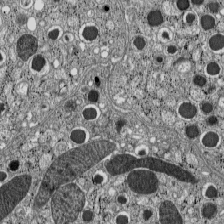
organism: C57BL Mouse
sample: Pancreatic islet